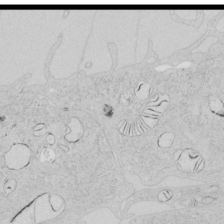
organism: Human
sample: Mitochondria in HCT116 cells